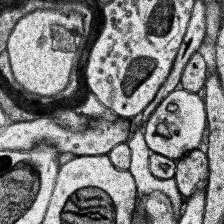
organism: Human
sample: Temporal Lobe